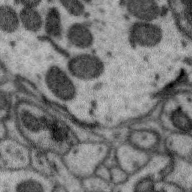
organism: Zebra finch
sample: Brain